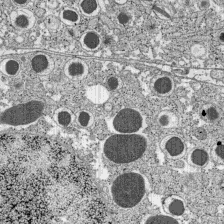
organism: C57BL Mouse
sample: Pancreatic islet